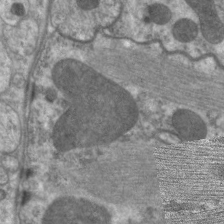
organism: C. elegans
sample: Pharynx